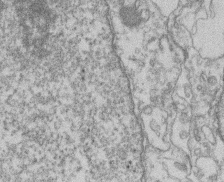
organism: Mouse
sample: T cell stromal cell synapse